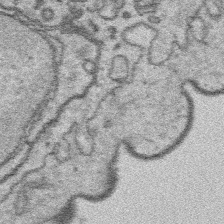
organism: Platynereis dumerilii